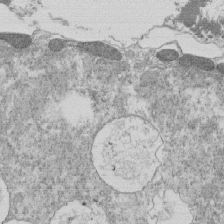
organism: Tetrahymena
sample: Cilia in tetrahymena